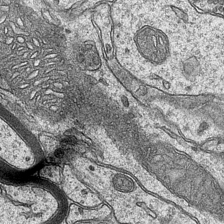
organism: Mouse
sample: CA1 Hippocampus